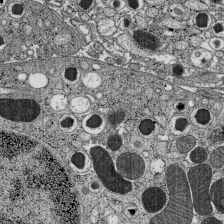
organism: C57BL Mouse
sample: Pancreatic islet